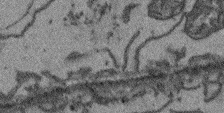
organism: Arabidopsis thaliana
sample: Root tip